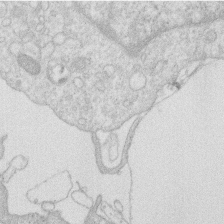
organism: Human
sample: Macrophage cells